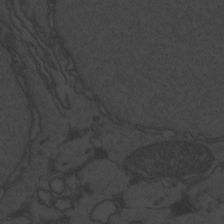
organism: Zebrafish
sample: Macrophage infected with Toxoplasma gondii